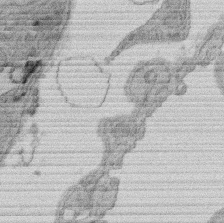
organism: Rat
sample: Salivary granule